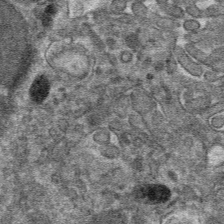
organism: Mouse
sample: Mouse hepatocytes